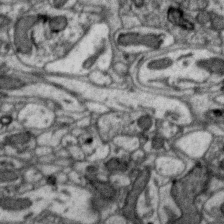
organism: Zebra finch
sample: Brain